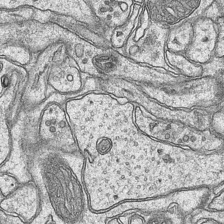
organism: Mouse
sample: CA1 Hippocampus